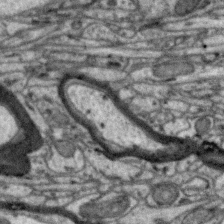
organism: Zebra finch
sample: Brain